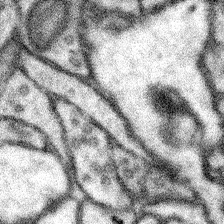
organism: Mouse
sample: Somatosensory cortex neuropil